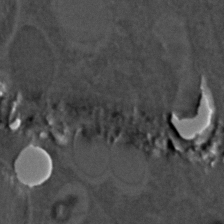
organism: C. elegans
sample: C. elegans embryo